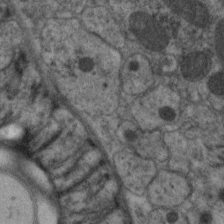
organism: C. elegans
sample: Pharynx